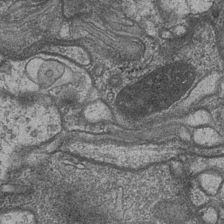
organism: Drosophila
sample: Optic medulla